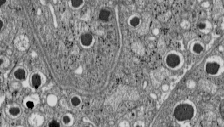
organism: C57BL Mouse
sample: Pancreatic islet